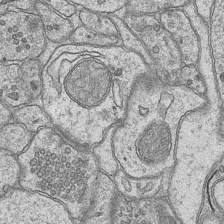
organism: Mouse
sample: CA1 Hippocampus